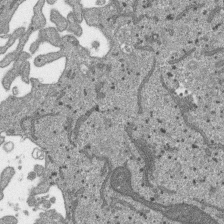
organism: Human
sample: Lung epithelial cells infected with SARS-CoV-2